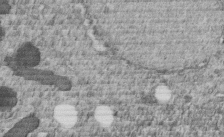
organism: C. elegans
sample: C. elegans embryo early stage